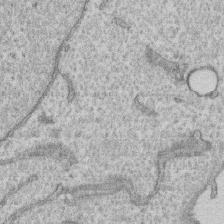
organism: Human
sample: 1205lu cells